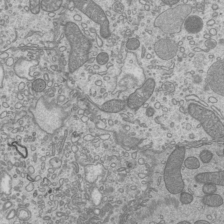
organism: Mouse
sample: Cilia; mouse epididymis